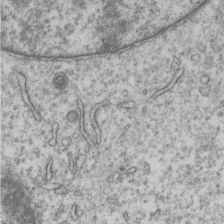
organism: Human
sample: MDA-MB-231 cells